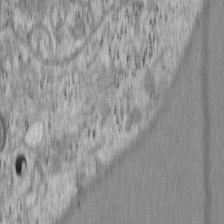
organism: Human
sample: HeLa cells